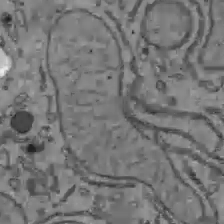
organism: C57BL Mouse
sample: Liver